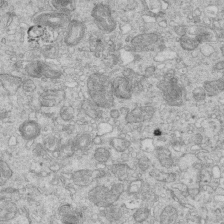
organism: Mouse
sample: Multiciliated cells